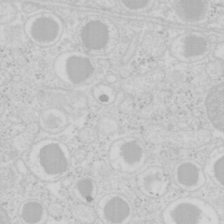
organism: Mouse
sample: Pancreas